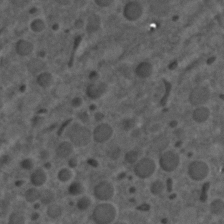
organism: C. elegans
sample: C. elegans embryo